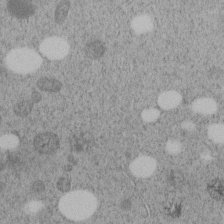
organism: C. elegans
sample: C. elegans embryo early stage